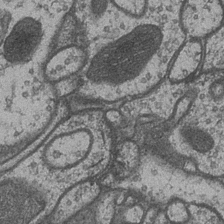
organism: Drosophila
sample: Optic medulla